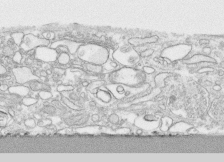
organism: Human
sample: CRL-1474